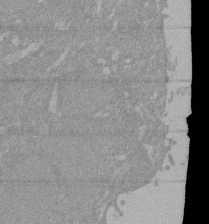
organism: Mouse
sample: ED-1 cell nuclei; centrioles